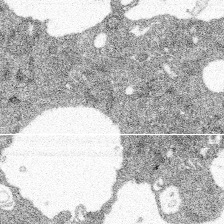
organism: Spongilla lacustris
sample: Multiple